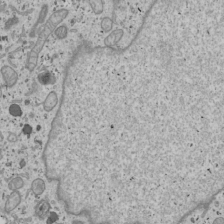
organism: Human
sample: Mitochondria in U2OS cells